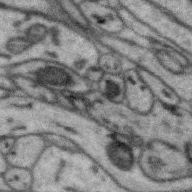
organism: Zebra finch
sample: Brain